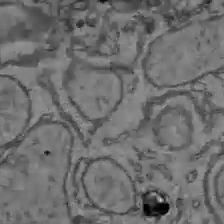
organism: C57BL Mouse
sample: Liver